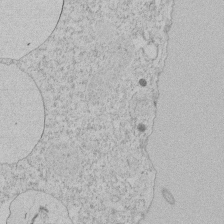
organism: Tetrahymena